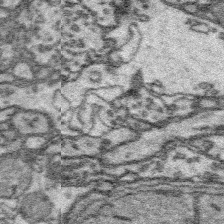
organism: Platynereis dumerilii